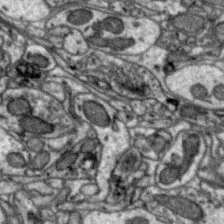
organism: Zebra finch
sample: Brain